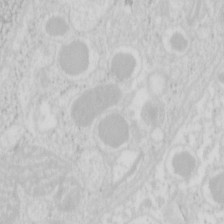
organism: Mouse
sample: Pancreas